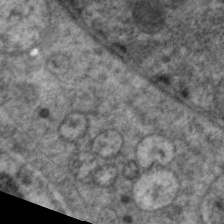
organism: C. elegans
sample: Pharynx